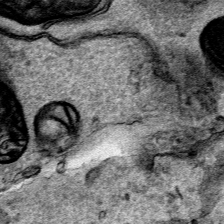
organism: Human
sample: Mitochondria in HCT116 cells